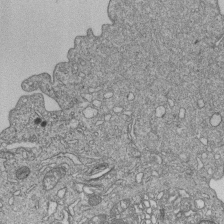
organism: Human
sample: MDA-MB-231 cells